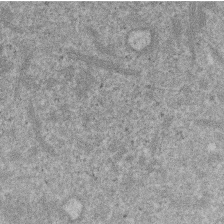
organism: Mouse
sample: Dividing mouse embryo 1 cell stage